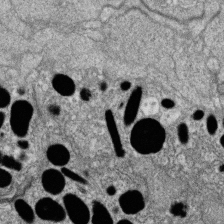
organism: Zebrafish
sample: Cilia; retinal pigment epithelium